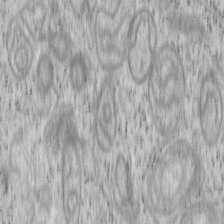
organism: Human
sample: HeLa cells